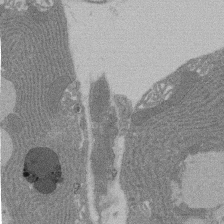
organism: Rat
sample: Salivary granule